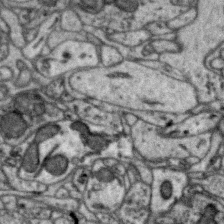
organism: Zebra finch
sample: Brain